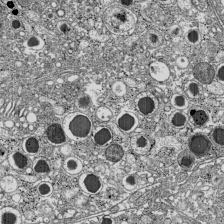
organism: C57BL Mouse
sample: Pancreatic islet